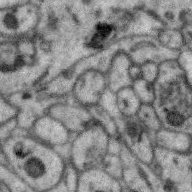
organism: Zebra finch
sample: Brain